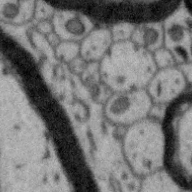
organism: Zebra finch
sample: Brain